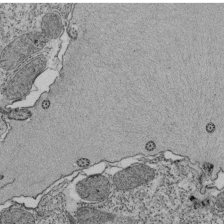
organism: Tetrahymena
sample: Cilia in tetrahymena